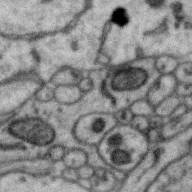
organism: Zebra finch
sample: Brain